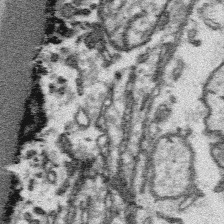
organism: Platynereis dumerilii